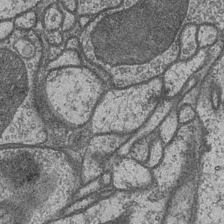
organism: Drosophila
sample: Optic medulla